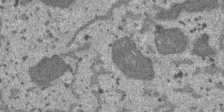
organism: Human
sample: Lung epithelial cells infected with SARS-CoV-2